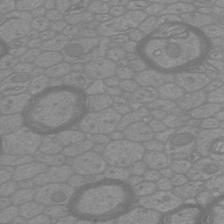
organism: Mouse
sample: Cortical neurons